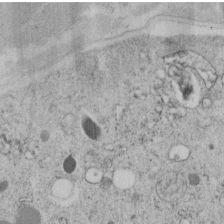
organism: C. elegans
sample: C. elegans embryo early stage